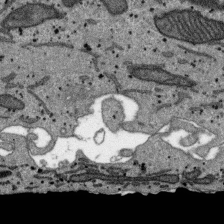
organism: Human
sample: Lung epithelial cells, uninfected (mock) control